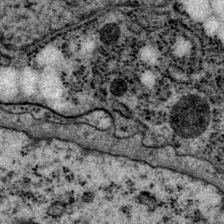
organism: P. pacificus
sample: Pharynx